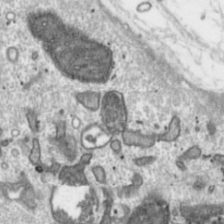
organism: Toxoplasma gondii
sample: Parasites in a vacuole inside a host cell